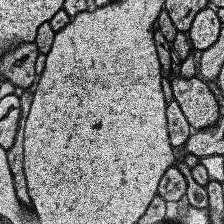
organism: Human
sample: Temporal Lobe